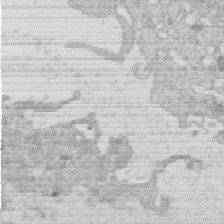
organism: Human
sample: Macrophage cells